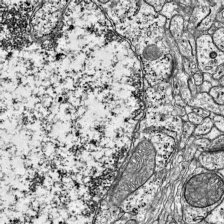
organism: Mouse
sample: Visual Cortex